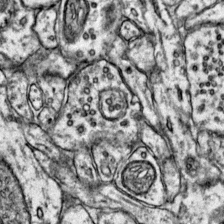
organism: Mouse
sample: Primary visual cortex